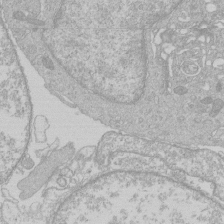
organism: Human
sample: Macrophage cells